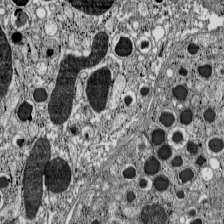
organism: C57BL Mouse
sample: Pancreatic islet